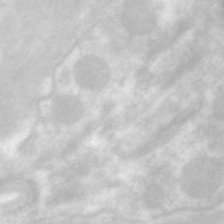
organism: C. elegans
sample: Pharynx